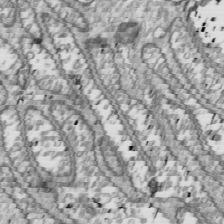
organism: Drosophila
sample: Cell division; meiosis; drosophila spermatocytes